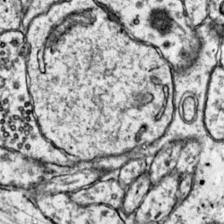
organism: Mouse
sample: Primary visual cortex